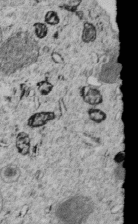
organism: C. elegans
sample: C. elegans embryo early stage